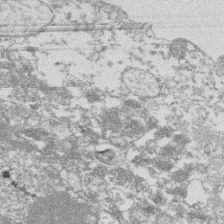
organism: Human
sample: HeLa cell HIV synapse